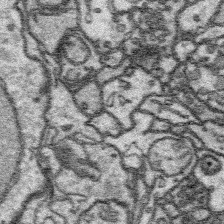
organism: Platynereis dumerilii